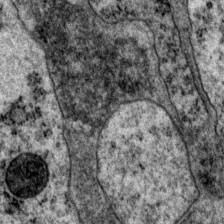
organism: P. pacificus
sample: Pharynx